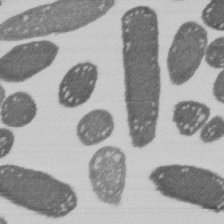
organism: E. coli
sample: Bacterial nucleoid